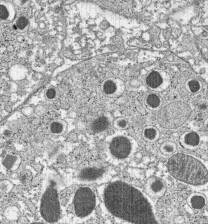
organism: C57BL Mouse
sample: Pancreatic islet